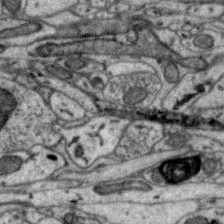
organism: Zebra finch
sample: Brain